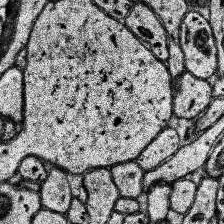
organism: Human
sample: Temporal Lobe